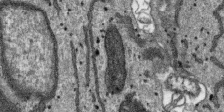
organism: Human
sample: Lung epithelial cells, uninfected (mock) control